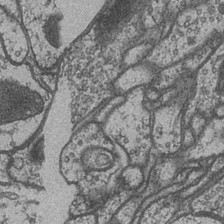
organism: Drosophila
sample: Optic medulla